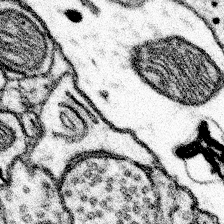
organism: Mouse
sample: Somatosensory cortex neuropil